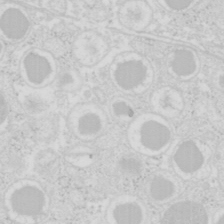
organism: Mouse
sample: Pancreas